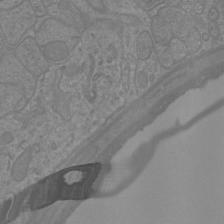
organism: Mouse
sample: Cortical neurons